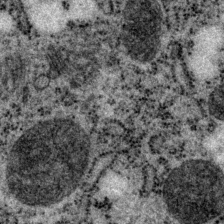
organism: P. pacificus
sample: Pharynx